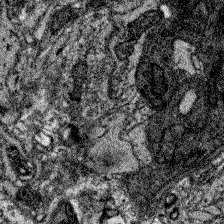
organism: Zebrafish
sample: Larval olfactory bulb